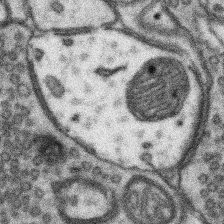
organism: Mouse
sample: Somatosensory cortex neuropil